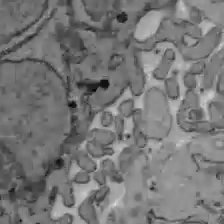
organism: C57BL Mouse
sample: Liver